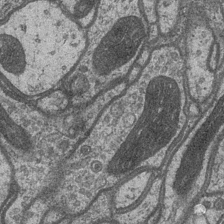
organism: Drosophila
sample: Optic medulla